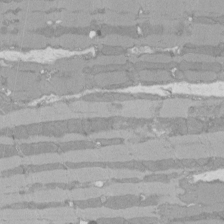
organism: Rat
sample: Left ventricle